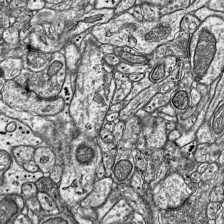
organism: Mouse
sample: Visual Cortex